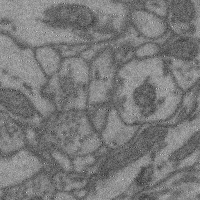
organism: Mouse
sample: Cerebral cortex